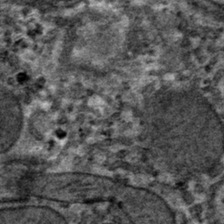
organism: Mouse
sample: Mouse hepatocytes